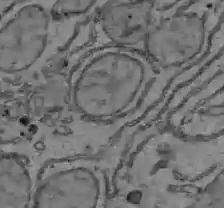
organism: C57BL Mouse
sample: Liver